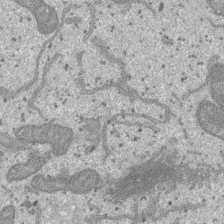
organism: Human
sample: Lung epithelial cells infected with SARS-CoV-2